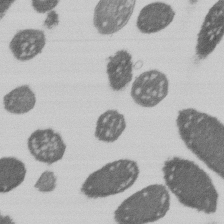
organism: E. coli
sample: Bacterial nucleoid